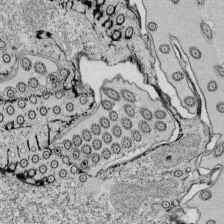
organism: Tetrahymena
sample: Cilia in tetrahymena